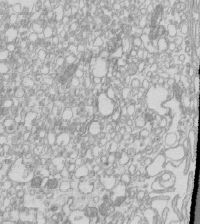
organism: Mouse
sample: Macrophages